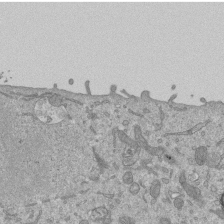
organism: Mouse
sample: ED-1 cell nuclei; centrioles